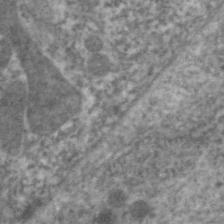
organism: C. elegans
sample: Pharynx